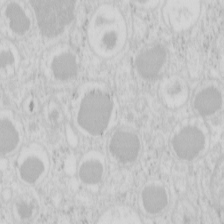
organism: Mouse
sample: Pancreas